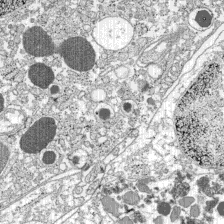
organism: C57BL Mouse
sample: Pancreatic islet